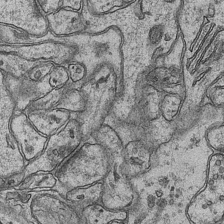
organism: Mouse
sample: CA1 Hippocampus